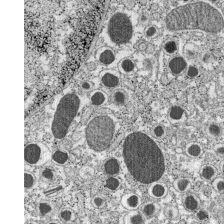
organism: C57BL Mouse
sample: Pancreatic islet